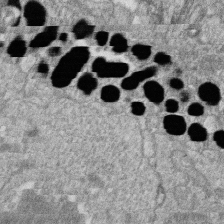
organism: Zebrafish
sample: Cilia; retinal pigment epithelium